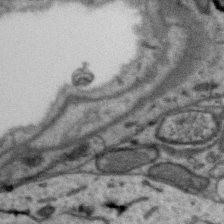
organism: Zebra finch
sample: Brain